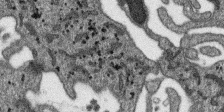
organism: Human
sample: Lung epithelial cells infected with SARS-CoV-2